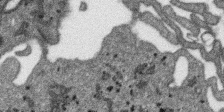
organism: Human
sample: Lung epithelial cells infected with SARS-CoV-2